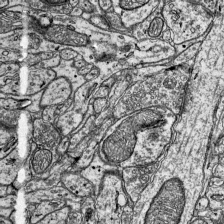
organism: Mouse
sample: Visual Cortex